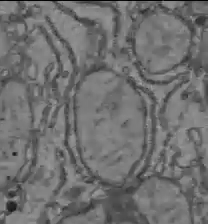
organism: C57BL Mouse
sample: Liver